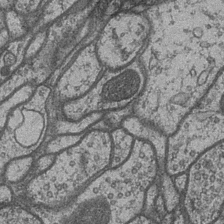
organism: Drosophila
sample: Optic medulla